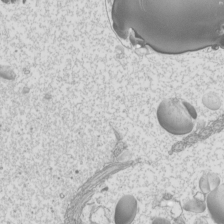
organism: Mouse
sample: Cilia; mouse epididymis